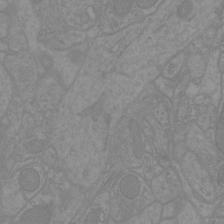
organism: Mouse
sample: Cortical neurons